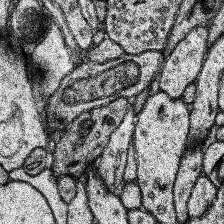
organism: Human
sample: Temporal Lobe